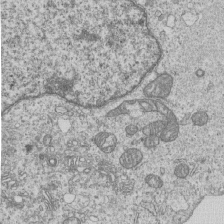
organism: Human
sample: MDA-MB-231 cells